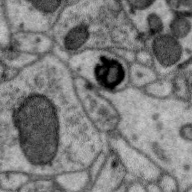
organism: Zebra finch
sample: Brain